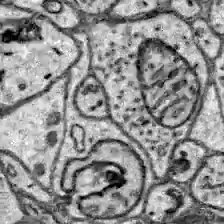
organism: Zebrafish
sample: Brain